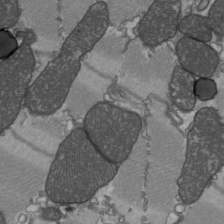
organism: C57BL Mouse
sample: Heart